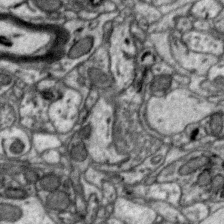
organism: Zebra finch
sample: Brain